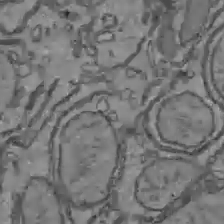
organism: C57BL Mouse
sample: Liver